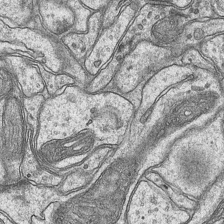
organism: Mouse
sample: CA1 Hippocampus